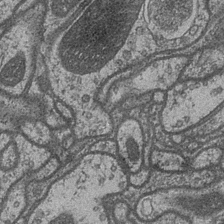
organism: Drosophila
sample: Optic medulla